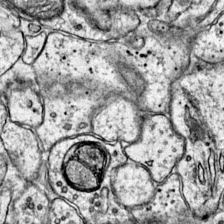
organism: Mouse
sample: Primary visual cortex